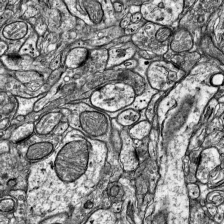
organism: Mouse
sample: Visual Cortex